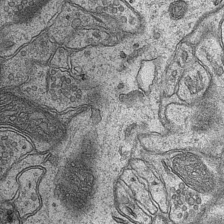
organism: Mouse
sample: CA1 Hippocampus